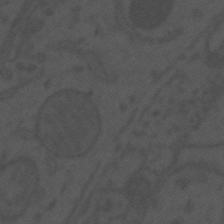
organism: Mouse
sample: Suprachiasmatic nucleus